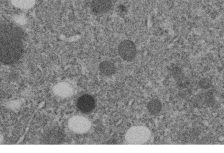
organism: C. elegans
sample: C. elegans embryo early stage